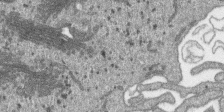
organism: Human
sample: Lung epithelial cells infected with SARS-CoV-2